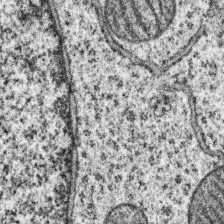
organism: Human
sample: HeLa cells